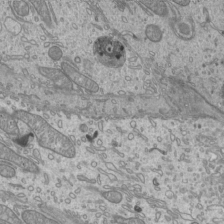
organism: Mouse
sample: Cilia; mouse epididymis